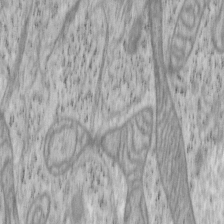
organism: Human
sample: HeLa cells